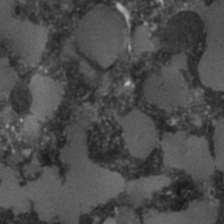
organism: C. elegans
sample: C. elegans embryo